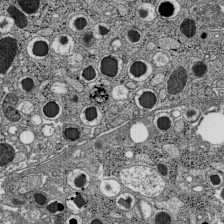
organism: C57BL Mouse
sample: Pancreatic islet